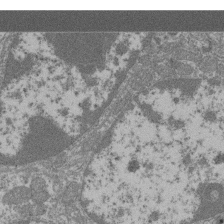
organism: Mouse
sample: Glomerulus